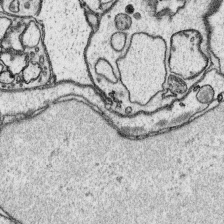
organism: Platynereis dumerilii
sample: Parapodia